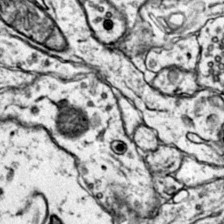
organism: Mouse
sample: Primary visual cortex